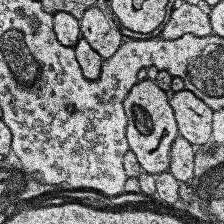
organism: Human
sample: Temporal Lobe